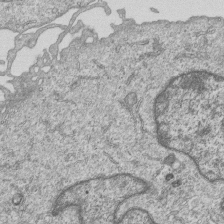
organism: Human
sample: MDA-MB-231 cells